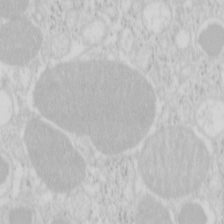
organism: Mouse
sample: Pancreas